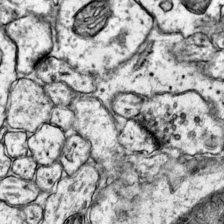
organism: Mouse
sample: Primary visual cortex